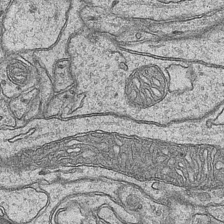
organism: Mouse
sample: CA1 Hippocampus